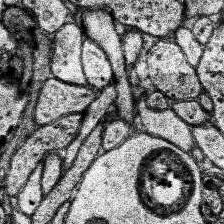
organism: Human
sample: Temporal Lobe